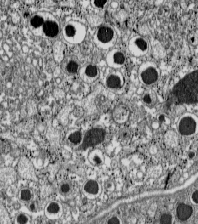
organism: C57BL Mouse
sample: Pancreatic islet